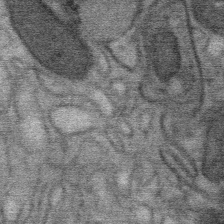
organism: Mouse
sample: Mouse Salivary gland